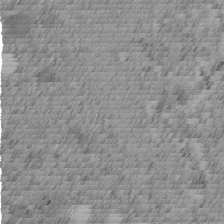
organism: C. elegans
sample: C. elegans embryo early stage